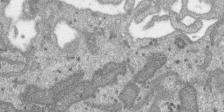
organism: Human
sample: Lung epithelial cells infected with SARS-CoV-2